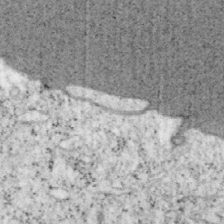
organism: Mouse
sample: OT-I killer T cells with ID8 ovarian cancer cells